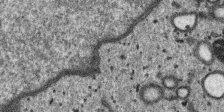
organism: Human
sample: Lung epithelial cells infected with SARS-CoV-2